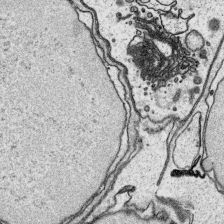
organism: Platynereis dumerilii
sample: Parapodia